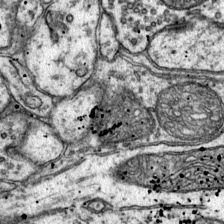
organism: Mouse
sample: Primary visual cortex